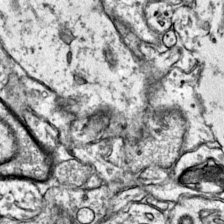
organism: Mouse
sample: Primary visual cortex